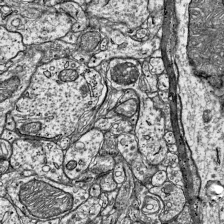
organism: Mouse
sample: Visual Cortex